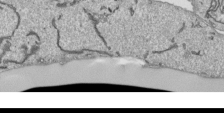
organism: Human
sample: Mitochondria in HCT116 cells